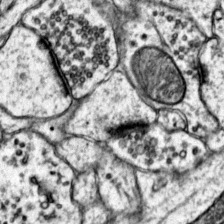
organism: Mouse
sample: Primary visual cortex